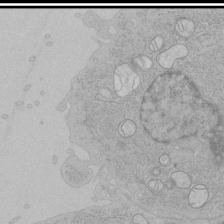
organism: Human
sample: Mitochondria in HCT116 cells